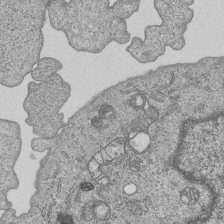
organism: Human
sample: MDA-MB-231 cells